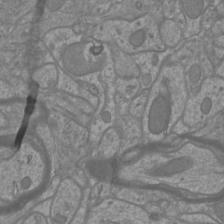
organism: Mouse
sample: Cortical neurons